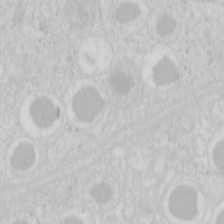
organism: Mouse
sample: Pancreas